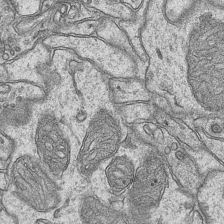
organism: Mouse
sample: CA1 Hippocampus